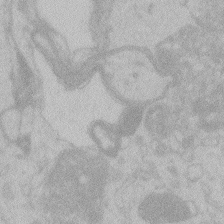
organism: Zebrafish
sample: Macrophage infected with Toxoplasma gondii